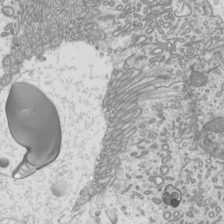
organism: Mouse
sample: Cilia; mouse epididymis